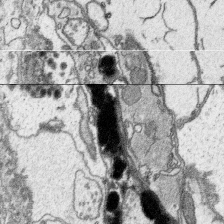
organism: Platynereis dumerilii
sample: Parapodia